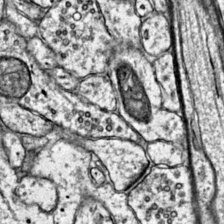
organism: Mouse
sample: Primary visual cortex